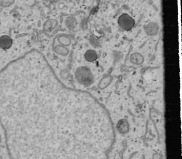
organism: Human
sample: Mitochondria in U2OS cells